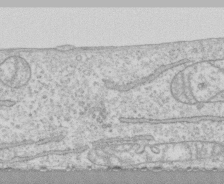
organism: Human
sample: CRL-1474